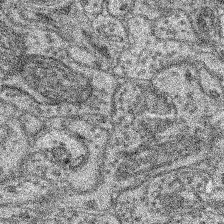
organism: Mouse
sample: Retina